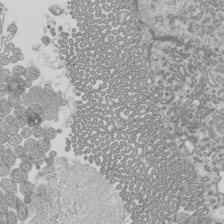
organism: Mouse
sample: Cilia; mouse epididymis